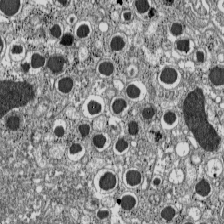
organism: C57BL Mouse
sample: Pancreatic islet